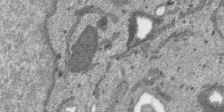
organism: Human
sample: Lung epithelial cells infected with SARS-CoV-2